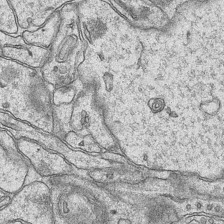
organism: Mouse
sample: CA1 Hippocampus